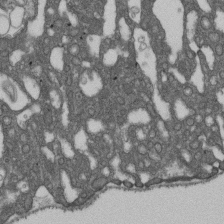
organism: Drosophila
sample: Nephrocyte